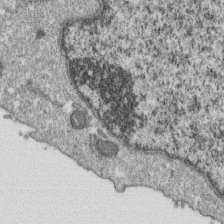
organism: African green monkey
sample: Vero E6 cells infected with SARS-CoV-2